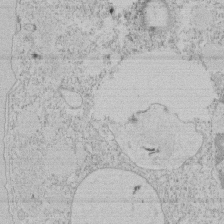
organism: Tetrahymena